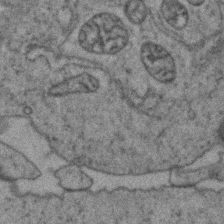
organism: Zebrafish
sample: Zebrafish embryo